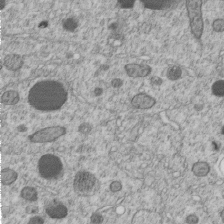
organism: C. elegans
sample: C. elegans embryo early stage